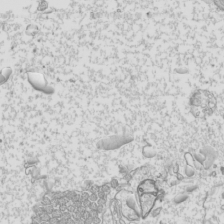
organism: Mouse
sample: Cilia; mouse epididymis